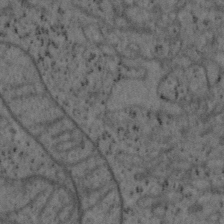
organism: Human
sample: HeLa cells